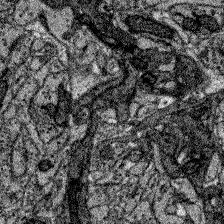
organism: Zebrafish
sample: Larval olfactory bulb